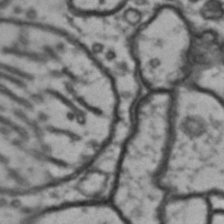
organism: Drosophila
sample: Brain